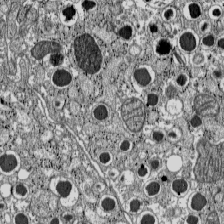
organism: C57BL Mouse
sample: Pancreatic islet